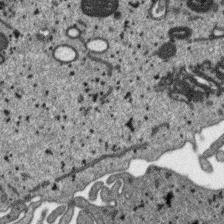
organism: Human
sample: Lung epithelial cells infected with SARS-CoV-2